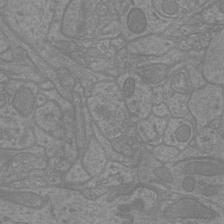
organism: Mouse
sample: Cortical neurons